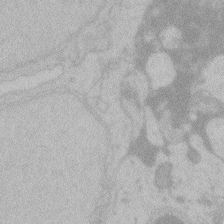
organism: Zebrafish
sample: Macrophage infected with Toxoplasma gondii